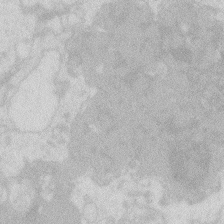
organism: Zebrafish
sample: Macrophage